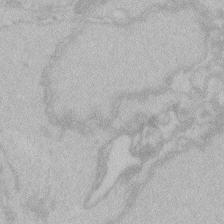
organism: Zebrafish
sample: Macrophage infected with Toxoplasma gondii